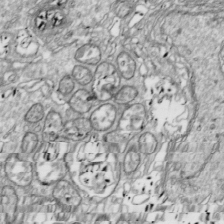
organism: Drosophila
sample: Cell division; meiosis; drosophila spermatocytes